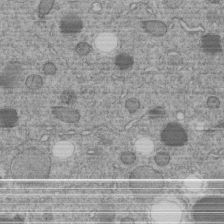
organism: C. elegans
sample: C. elegans embryo early stage